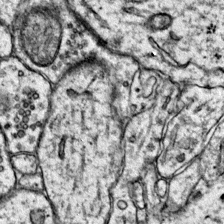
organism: Mouse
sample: Primary visual cortex